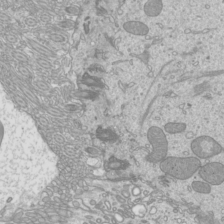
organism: Mouse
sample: Cilia; mouse epididymis